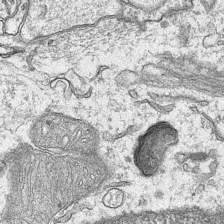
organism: Mouse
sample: CA1 Hippocampus